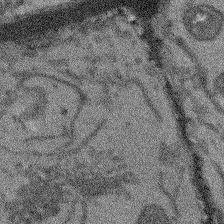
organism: Arabidopsis thaliana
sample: Root tip